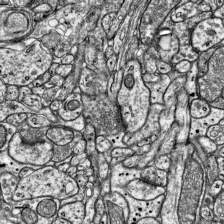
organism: Mouse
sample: Visual Cortex